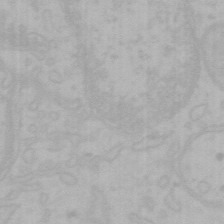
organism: Mouse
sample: Choroid plexus